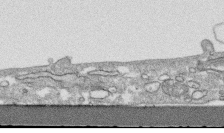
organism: Human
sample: CRL-1474